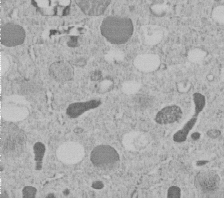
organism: C. elegans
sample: C. elegans embryo early stage